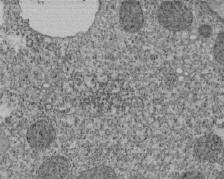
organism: Tetrahymena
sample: Cilia in tetrahymena